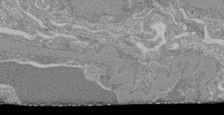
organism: Mouse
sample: Glomerulus